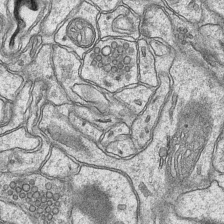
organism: Mouse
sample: CA1 Hippocampus